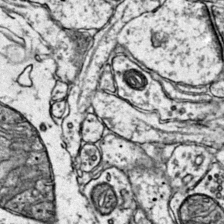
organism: Mouse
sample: Primary visual cortex